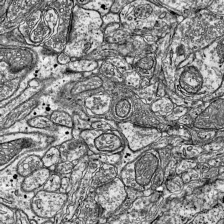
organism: Mouse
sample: Visual Cortex